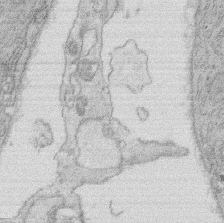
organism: Rat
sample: Salivary granule